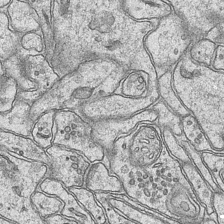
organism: Mouse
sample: CA1 Hippocampus